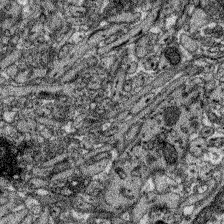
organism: Zebrafish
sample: Larval olfactory bulb